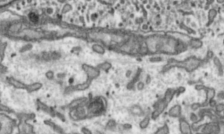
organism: Toxoplasma gondii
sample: Parasites in a vacuole inside a host cell